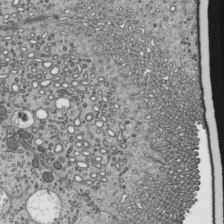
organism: Mouse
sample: Mouse epididymis efferent ductule cilia